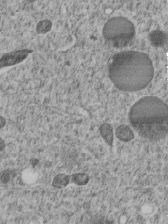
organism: C. elegans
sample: C. elegans embryo early stage